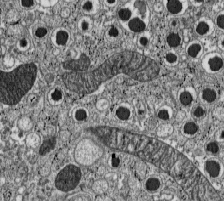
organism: C57BL Mouse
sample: Pancreatic islet